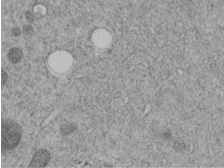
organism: C. elegans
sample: C. elegans embryo early stage